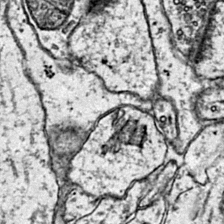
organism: Mouse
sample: Primary visual cortex